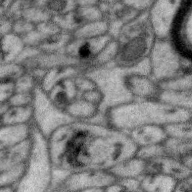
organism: Zebra finch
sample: Brain